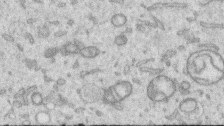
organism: Human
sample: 1205lu cells